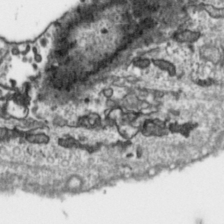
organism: Toxoplasma gondii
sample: Parasites in a vacuole inside a host cell